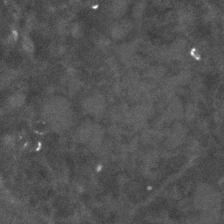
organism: C. elegans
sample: C. elegans embryo